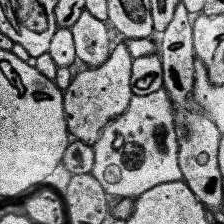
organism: Human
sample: Temporal Lobe